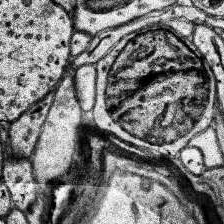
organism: Human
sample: Temporal Lobe